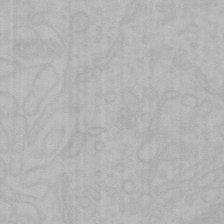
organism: Mouse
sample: Choroid plexus